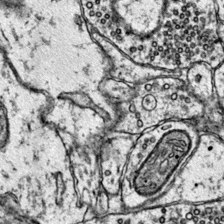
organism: Mouse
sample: Primary visual cortex